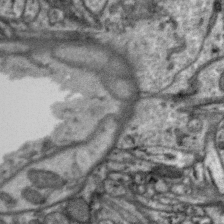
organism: Zebra finch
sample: Brain